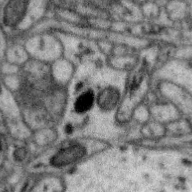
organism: Zebra finch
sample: Brain